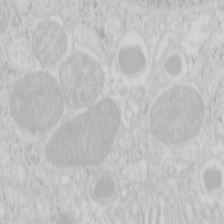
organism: Mouse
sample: Pancreas